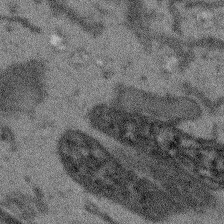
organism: Arabidopsis thaliana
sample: Root tip